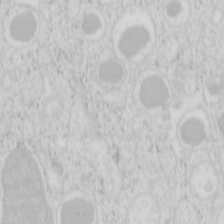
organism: Mouse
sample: Pancreas